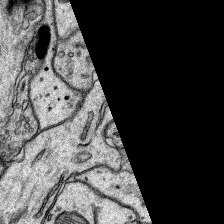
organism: Rat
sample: Hippocampus